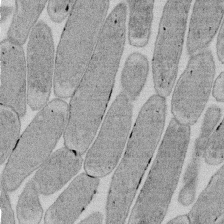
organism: E. coli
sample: Bacterial nucleoid